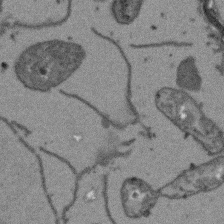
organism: Arabidopsis thaliana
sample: Root tip